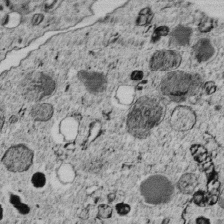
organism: C. elegans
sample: C. elegans embryo early stage